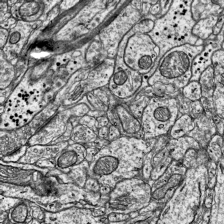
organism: Mouse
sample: Visual Cortex